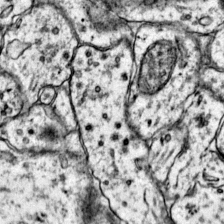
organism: Mouse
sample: Primary visual cortex